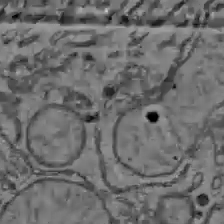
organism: C57BL Mouse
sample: Liver